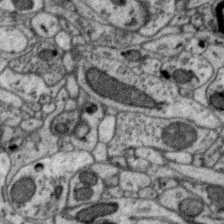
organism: Zebra finch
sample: Brain